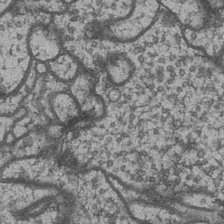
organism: Drosophila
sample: Optic medulla